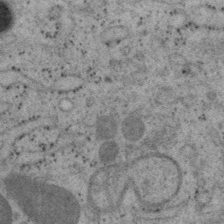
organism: Human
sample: HeLa cells